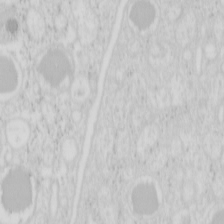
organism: Mouse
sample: Pancreas